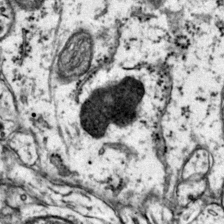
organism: Mouse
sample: Primary visual cortex